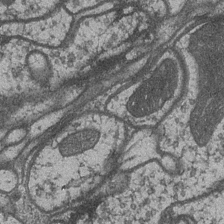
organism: Drosophila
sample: Optic medulla